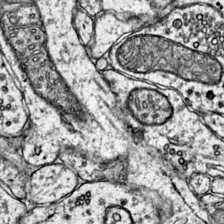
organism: Mouse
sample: Primary visual cortex